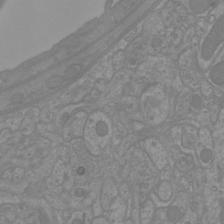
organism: Mouse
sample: Cortical neurons